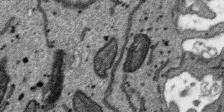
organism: Human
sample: Lung epithelial cells, uninfected (mock) control